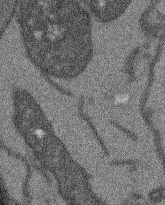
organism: Arabidopsis thaliana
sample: Root tip